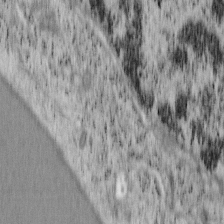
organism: Human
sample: HeLa cells